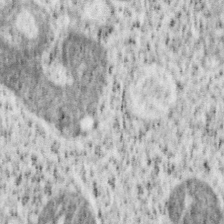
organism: Mouse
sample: OT-I killer T cells with ID8 ovarian cancer cells